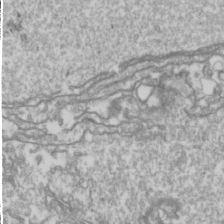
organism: Drosophila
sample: Cell division; meiosis; drosophila spermatocytes